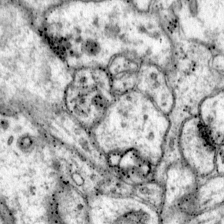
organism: Mouse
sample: Primary visual cortex